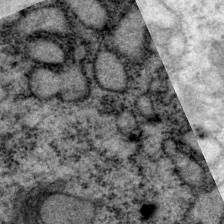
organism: P. pacificus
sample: Pharynx